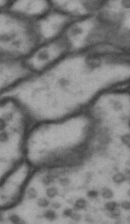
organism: Drosophila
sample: Brain